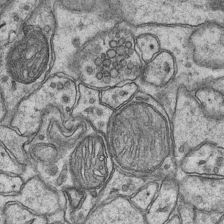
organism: Mouse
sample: CA1 Hippocampus